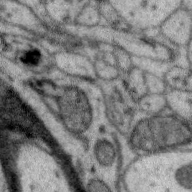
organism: Zebra finch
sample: Brain